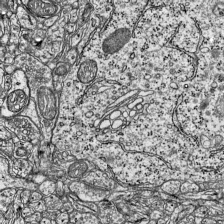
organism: Mouse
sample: Visual Cortex